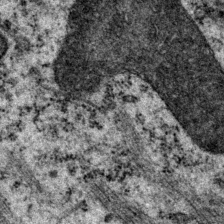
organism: P. pacificus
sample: Pharynx